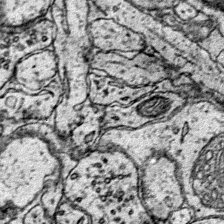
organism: Mouse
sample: Primary visual cortex